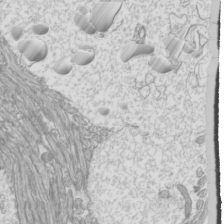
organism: Mouse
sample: Cilia; mouse epididymis